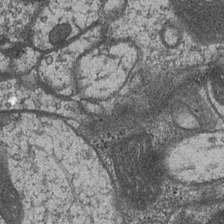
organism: Drosophila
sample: Optic medulla